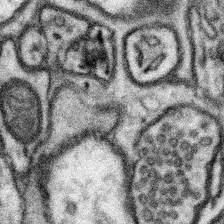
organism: Mouse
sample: Somatosensory cortex neuropil